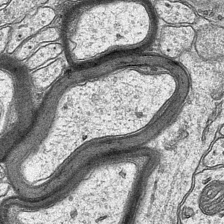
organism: Mouse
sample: CA1 Hippocampus